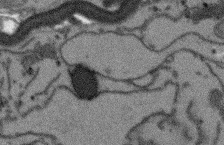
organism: Arabidopsis thaliana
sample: Root tip